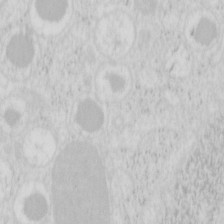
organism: Mouse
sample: Pancreas